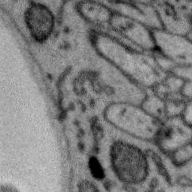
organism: Zebra finch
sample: Brain